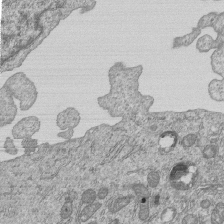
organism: Human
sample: MDA-MB-231 cells